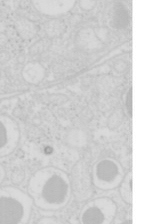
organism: Mouse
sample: Pancreas